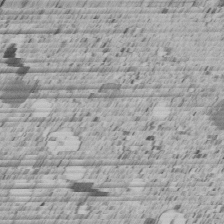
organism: C. elegans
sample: C. elegans embryo early stage